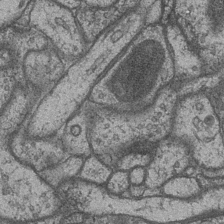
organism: Drosophila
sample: Optic medulla